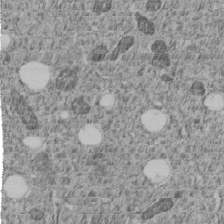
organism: C. elegans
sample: C. elegans embryo early stage